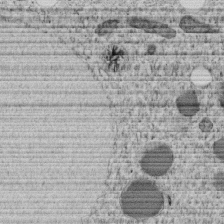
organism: C. elegans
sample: C. elegans embryo early stage